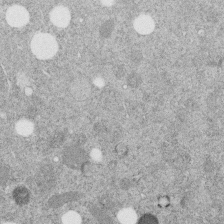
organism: C. elegans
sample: C. elegans embryo early stage